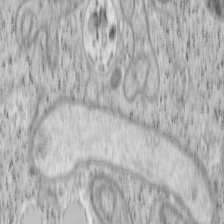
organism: Human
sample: HeLa cells